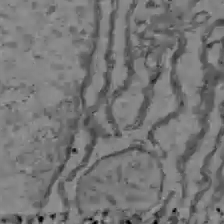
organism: C57BL Mouse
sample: Liver